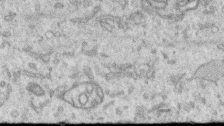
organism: Human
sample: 1205lu cells